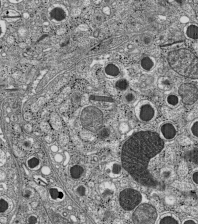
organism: C57BL Mouse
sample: Pancreatic islet